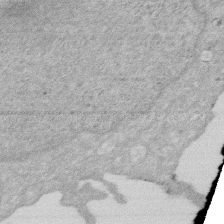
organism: Human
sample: HIV infected U937 cells